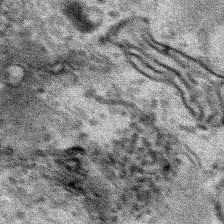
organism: Human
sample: Mitochondria in HCT116 cells